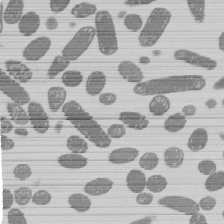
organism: E. coli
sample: Bacterial nucleoid